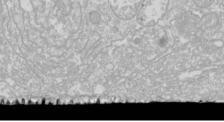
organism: Drosophila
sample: Cell division; meiosis; drosophila spermatocytes